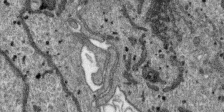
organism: Human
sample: Lung epithelial cells, uninfected (mock) control